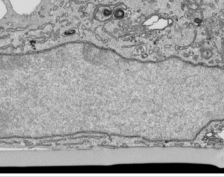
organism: Human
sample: Mitochondria in HCT116 cells